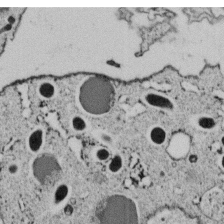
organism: C. elegans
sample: C. elegans embryo early stage